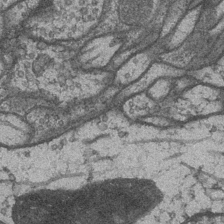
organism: Drosophila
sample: Optic medulla